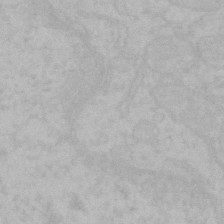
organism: Mouse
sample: Choroid plexus